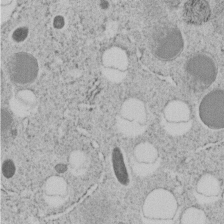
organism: C. elegans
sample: C. elegans embryo early stage